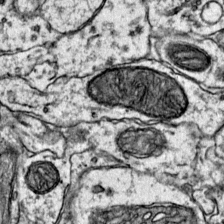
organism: Mouse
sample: Primary visual cortex